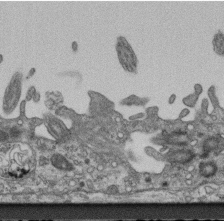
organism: Mouse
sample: Centriole in ependymal cells